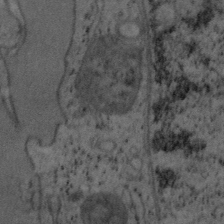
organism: Human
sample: HeLa cells